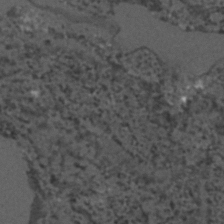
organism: C. elegans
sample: C. elegans embryo